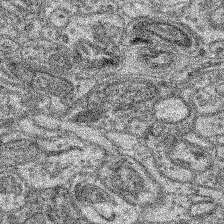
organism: Mouse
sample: Retina